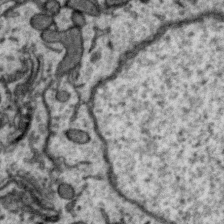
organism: Zebra finch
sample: Brain